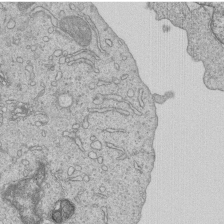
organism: Human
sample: MDA-MB-231 cells